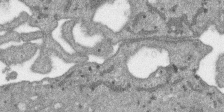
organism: Human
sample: Lung epithelial cells infected with SARS-CoV-2